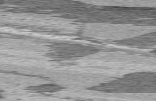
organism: C57BL Mouse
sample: Heart